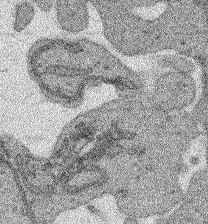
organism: Human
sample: HeLa cells